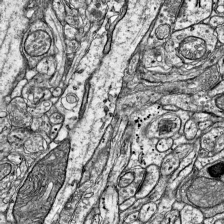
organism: Mouse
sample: Visual Cortex